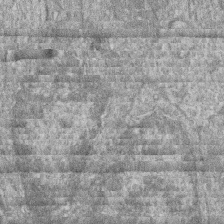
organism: Zebrafish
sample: Cilia; retinal pigment epithelium